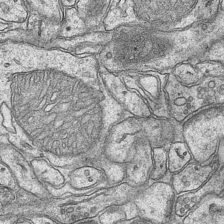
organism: Mouse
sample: CA1 Hippocampus